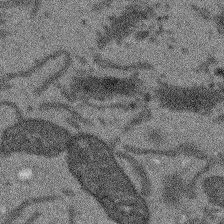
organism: Arabidopsis thaliana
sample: Root tip